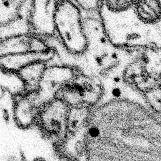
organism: Mouse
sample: Somatosensory cortex neuropil